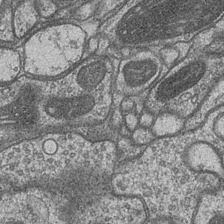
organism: Drosophila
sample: Optic medulla